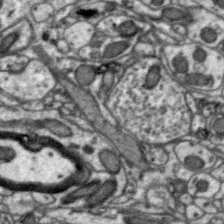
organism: Zebra finch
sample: Brain